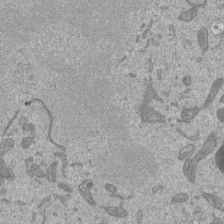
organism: Mouse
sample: ED-1 cell nuclei; centrioles